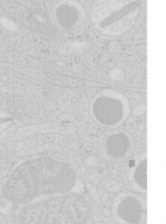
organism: Mouse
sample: Pancreas